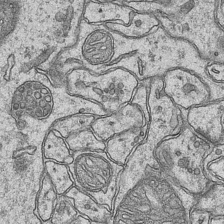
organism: Mouse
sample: CA1 Hippocampus